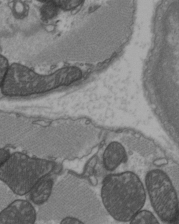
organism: C57BL Mouse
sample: Heart